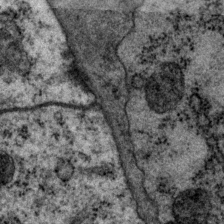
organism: P. pacificus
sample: Pharynx